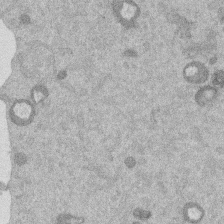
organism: Mouse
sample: Dividing mouse embryo 1 cell stage